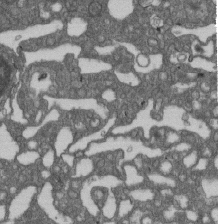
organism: Drosophila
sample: Nephrocyte